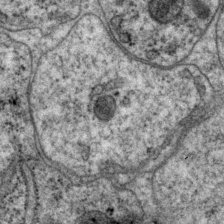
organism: P. pacificus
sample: Pharynx